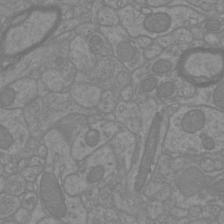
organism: Mouse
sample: Cortical neurons